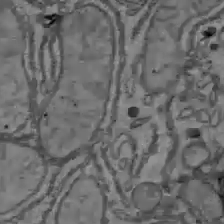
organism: C57BL Mouse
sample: Liver